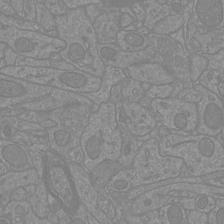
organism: Mouse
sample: Cortical neurons